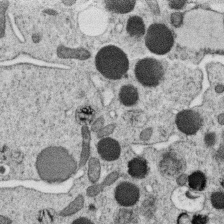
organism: C. elegans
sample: C. elegans oocyte; sperm cells